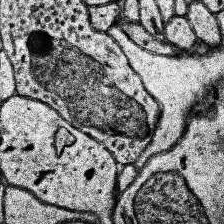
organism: Human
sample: Temporal Lobe